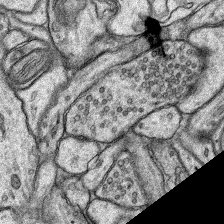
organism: Rat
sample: Hippocampus